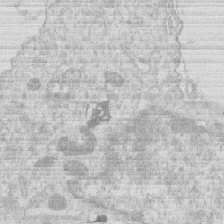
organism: Human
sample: Macrophage cells